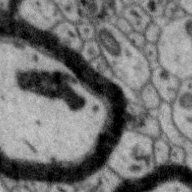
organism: Zebra finch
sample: Brain